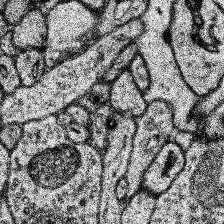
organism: Human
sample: Temporal Lobe